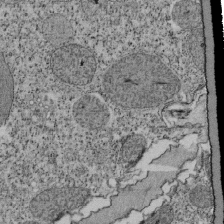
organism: Tetrahymena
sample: Cilia in tetrahymena